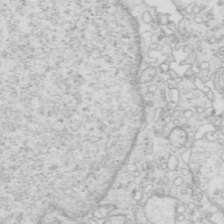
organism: Mouse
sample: Multiciliated cells